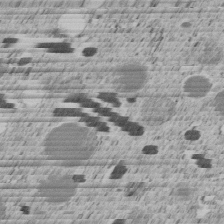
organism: C. elegans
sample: C. elegans embryo early stage